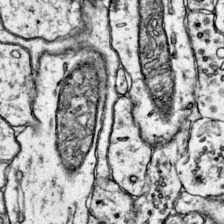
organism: Mouse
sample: Primary visual cortex